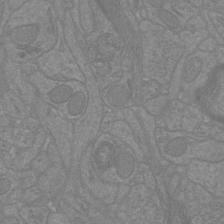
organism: Mouse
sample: Cortical neurons